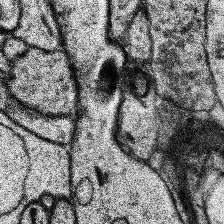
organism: Human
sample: Temporal Lobe